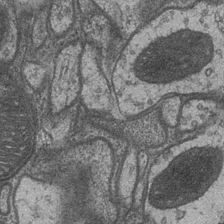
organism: Drosophila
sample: Optic medulla